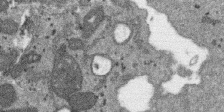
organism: Human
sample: Lung epithelial cells infected with SARS-CoV-2